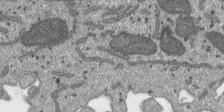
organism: Human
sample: Lung epithelial cells infected with SARS-CoV-2